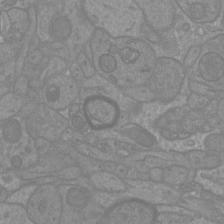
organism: Mouse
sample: Cortical neurons